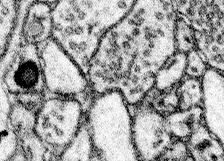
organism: Mouse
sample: Somatosensory cortex neuropil